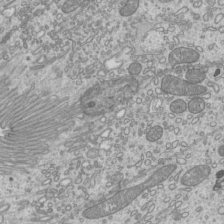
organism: Mouse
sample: Cilia; mouse epididymis